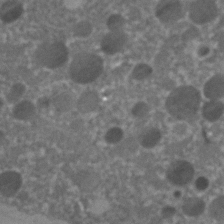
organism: C. elegans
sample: C. elegans embryo